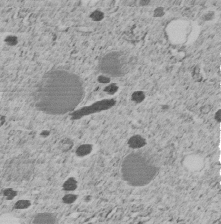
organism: C. elegans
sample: C. elegans embryo early stage